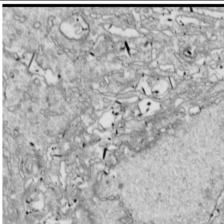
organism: Drosophila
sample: Cell division; meiosis; drosophila spermatocytes